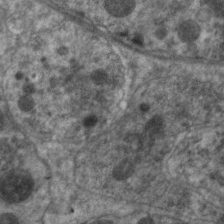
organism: C. elegans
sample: Pharynx